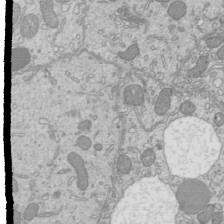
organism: Mouse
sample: Cilia; mouse epididymis